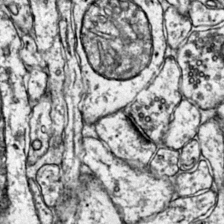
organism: Mouse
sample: Primary visual cortex